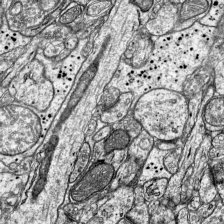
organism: Mouse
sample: Visual Cortex